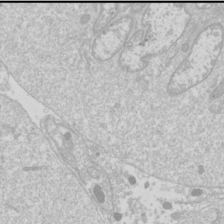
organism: Drosophila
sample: Cell division; meiosis; drosophila spermatocytes